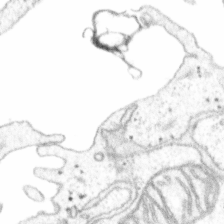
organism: Human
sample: HeLa cells